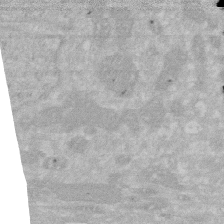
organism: Human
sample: HIV infected U937 cells